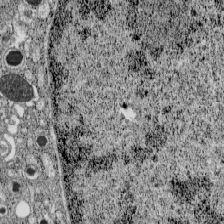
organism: C57BL Mouse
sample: Pancreatic islet